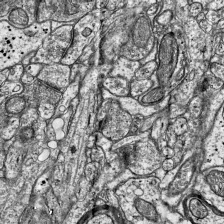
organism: Mouse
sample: Visual Cortex